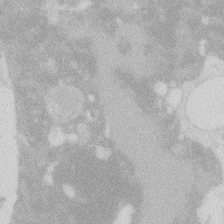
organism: Zebrafish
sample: Macrophage